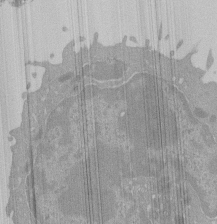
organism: Mouse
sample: Activated Pmel transgenic CD8+ T Cells